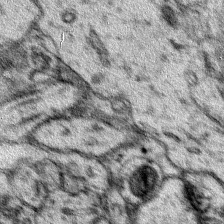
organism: Mouse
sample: Primary visual cortex